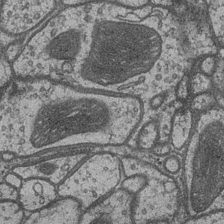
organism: Drosophila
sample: Optic medulla